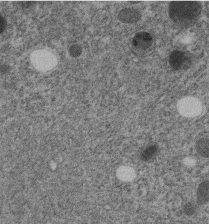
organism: C. elegans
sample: C. elegans embryo early stage